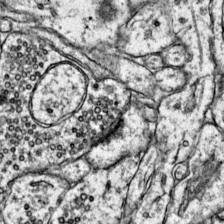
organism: Mouse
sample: Primary visual cortex